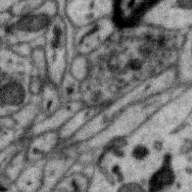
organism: Zebra finch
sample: Brain